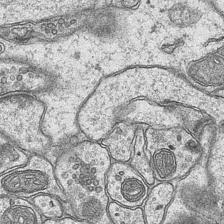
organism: Mouse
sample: CA1 Hippocampus